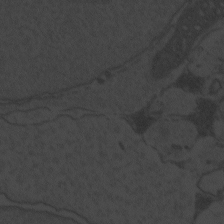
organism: Zebrafish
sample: Macrophage infected with Toxoplasma gondii